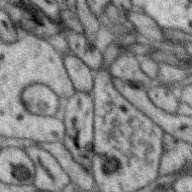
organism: Zebra finch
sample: Brain